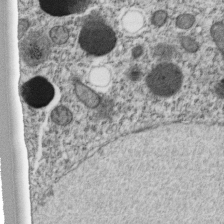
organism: C. elegans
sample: C. elegans embryo early stage